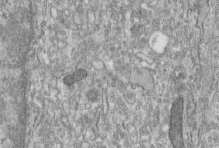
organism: Human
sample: Centriole in fibroblast cells